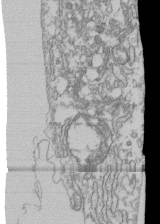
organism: Human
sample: Fibroblast cells